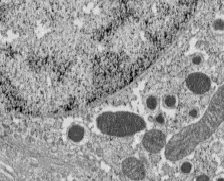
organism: C57BL Mouse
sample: Pancreatic islet